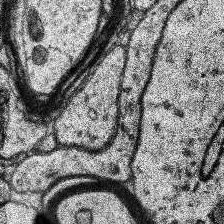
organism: Human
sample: Temporal Lobe